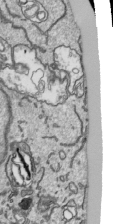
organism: Human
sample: Mitochondria in HCT116 cells